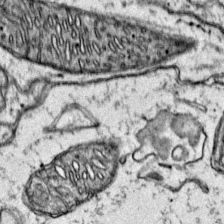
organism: Mouse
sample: Primary visual cortex